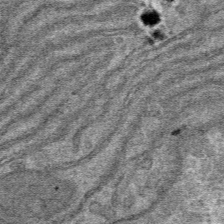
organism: Mouse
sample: Mouse hepatocytes